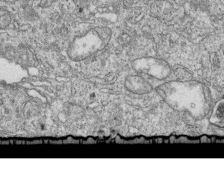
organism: Human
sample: HeLa cell HIV synapse